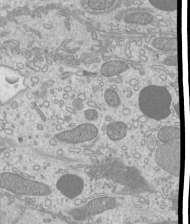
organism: Mouse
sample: Cilia; mouse epididymis